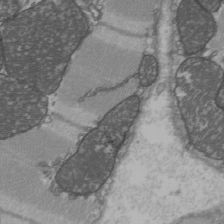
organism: C57BL Mouse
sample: Heart